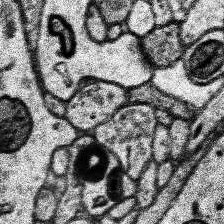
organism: Human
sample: Temporal Lobe